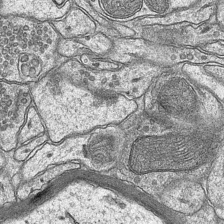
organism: Mouse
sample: CA1 Hippocampus